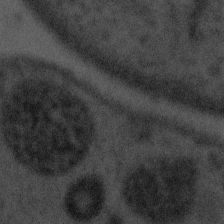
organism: Tuwongella immobilis